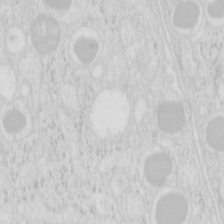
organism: Mouse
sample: Pancreas